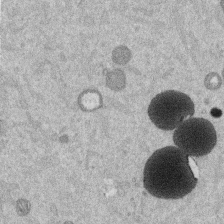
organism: Mouse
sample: Dividing mouse embryo 1 cell stage